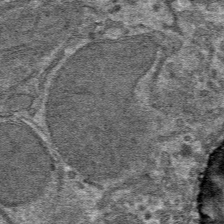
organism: Mouse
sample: Mouse hepatocytes